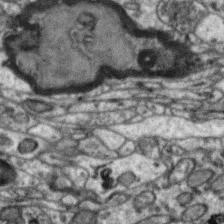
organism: Zebra finch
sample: Brain